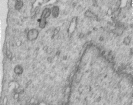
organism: Human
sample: Centriole in RPE cells